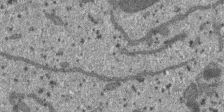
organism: Human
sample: Lung epithelial cells infected with SARS-CoV-2